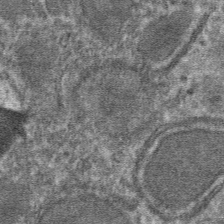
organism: Mouse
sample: Mouse hepatocytes